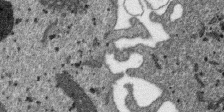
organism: Human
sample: Lung epithelial cells infected with SARS-CoV-2